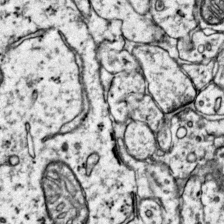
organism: Mouse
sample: Primary visual cortex